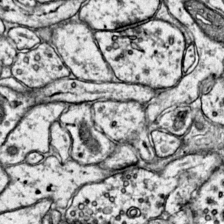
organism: Mouse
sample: Primary visual cortex